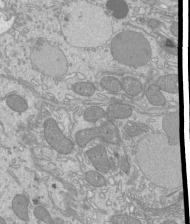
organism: Mouse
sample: Cilia; mouse epididymis